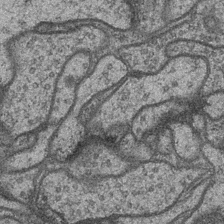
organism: Drosophila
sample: Optic medulla